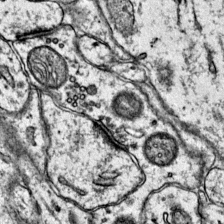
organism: Mouse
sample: Primary visual cortex